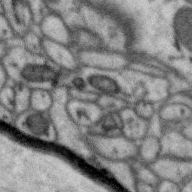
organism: Zebra finch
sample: Brain